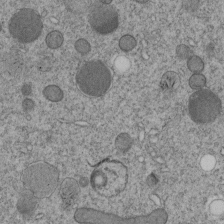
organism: C. elegans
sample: C. elegans embryo early stage